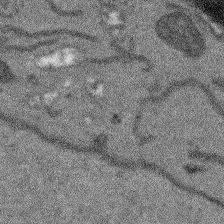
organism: Arabidopsis thaliana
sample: Root tip